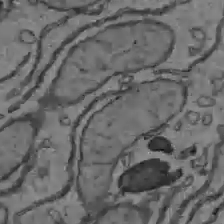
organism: C57BL Mouse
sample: Liver